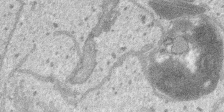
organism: Human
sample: Lung epithelial cells infected with SARS-CoV-2